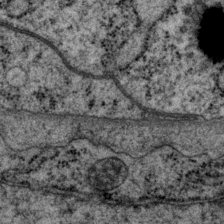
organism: P. pacificus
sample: Pharynx